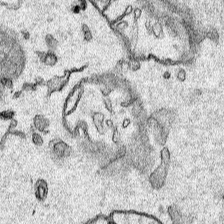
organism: Human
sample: Mitochondria in HCT116 cells